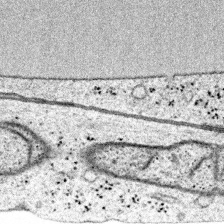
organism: Human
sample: HeLa cells